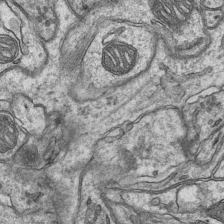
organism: Mouse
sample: CA1 Hippocampus